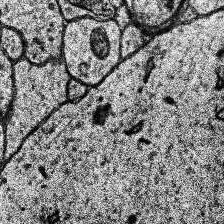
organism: Human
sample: Temporal Lobe